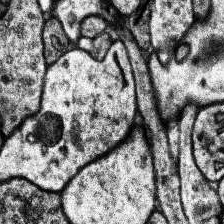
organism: Human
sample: Temporal Lobe